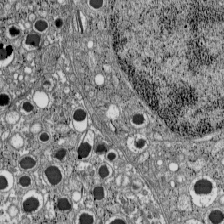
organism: C57BL Mouse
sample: Pancreatic islet